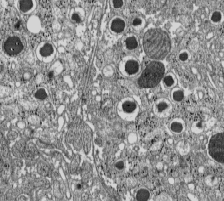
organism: C57BL Mouse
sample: Pancreatic islet